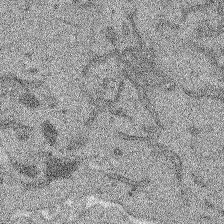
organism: Human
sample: HeLa cells